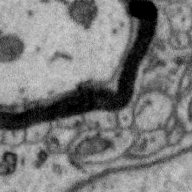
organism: Zebra finch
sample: Brain